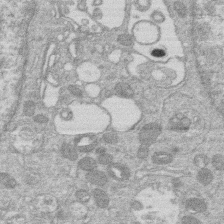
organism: Human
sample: Macrophage cells